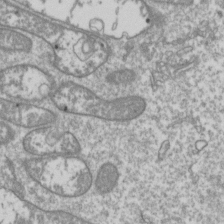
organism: Drosophila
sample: Cell division; meiosis; drosophila spermatocytes